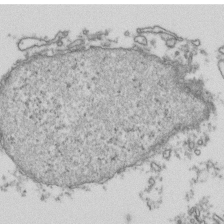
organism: Human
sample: Activated Jurkat CD4+ T cells